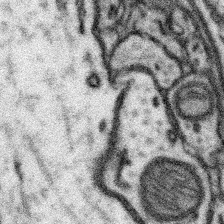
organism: Mouse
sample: Somatosensory cortex neuropil